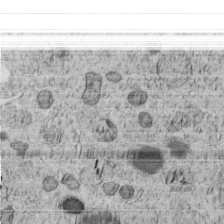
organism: C. elegans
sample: C. elegans embryo early stage